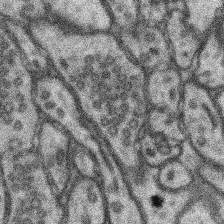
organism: Mouse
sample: Somatosensory cortex neuropil